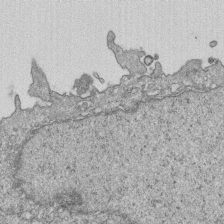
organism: Human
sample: HeLa cell HIV synapse